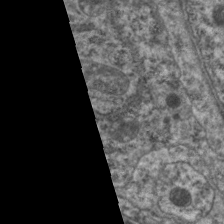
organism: C. elegans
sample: Pharynx